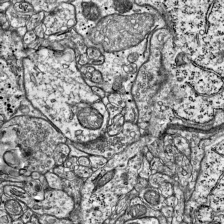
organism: Mouse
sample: Visual Cortex